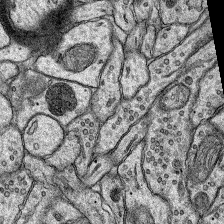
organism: Rat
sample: Hippocampus